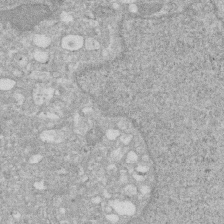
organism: Human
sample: HIV infected U937 cells